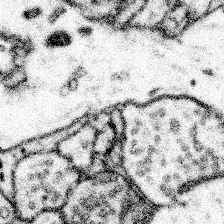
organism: Mouse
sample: Somatosensory cortex neuropil